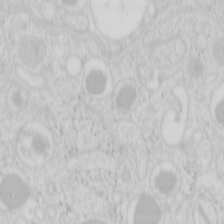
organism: Mouse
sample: Pancreas